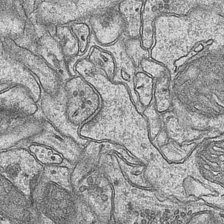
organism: Mouse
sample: CA1 Hippocampus